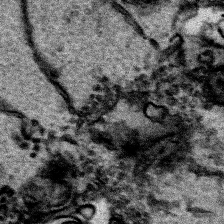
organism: Human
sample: Mitochondria in HCT116 cells